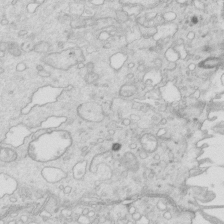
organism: Mouse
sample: Multiciliated cells